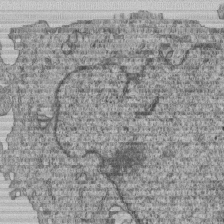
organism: Human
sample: MDA-MB-231 cells